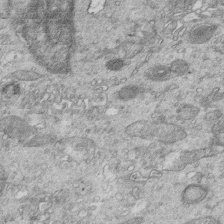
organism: Mouse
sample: Multiciliated cells